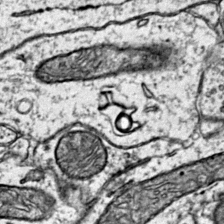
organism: Mouse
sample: Primary visual cortex